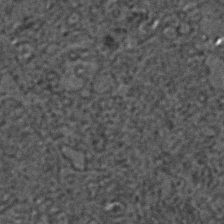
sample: Trachea